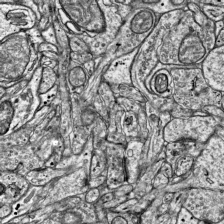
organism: Mouse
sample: Visual Cortex